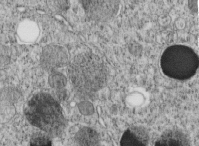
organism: C. elegans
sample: C. elegans embryo early stage